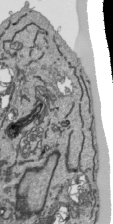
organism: Human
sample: Mitochondria in HCT116 cells